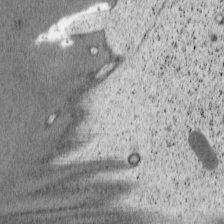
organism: African green monkey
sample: COS-7 cells